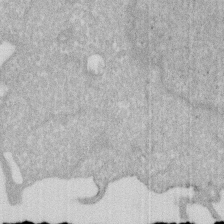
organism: Human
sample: HIV infected U937 cells